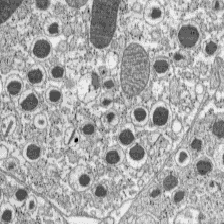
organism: C57BL Mouse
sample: Pancreatic islet